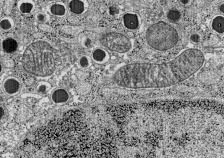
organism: C57BL Mouse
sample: Pancreatic islet